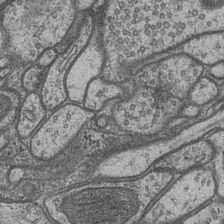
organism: Drosophila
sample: Optic medulla